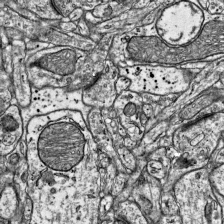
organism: Mouse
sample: Visual Cortex